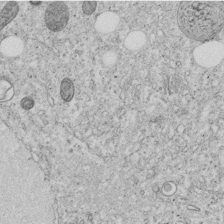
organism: C. elegans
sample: C. elegans embryo early stage